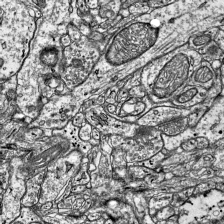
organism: Mouse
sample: Visual Cortex